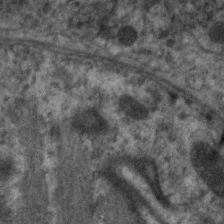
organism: C. elegans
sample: Pharynx